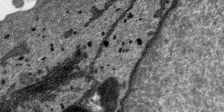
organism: Human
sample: Lung epithelial cells, uninfected (mock) control